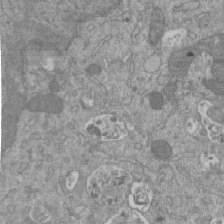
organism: Mouse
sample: ED-1 cell nuclei; centrioles